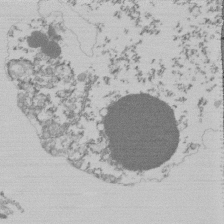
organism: Mouse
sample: Activated Pmel transgenic CD8+ T Cells